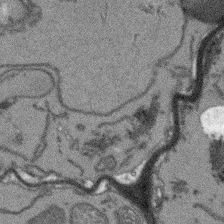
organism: Arabidopsis thaliana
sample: Root tip